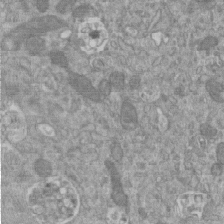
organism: Mouse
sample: ED-1 cell nuclei; centrioles